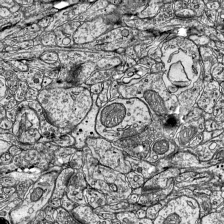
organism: Mouse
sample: Visual Cortex